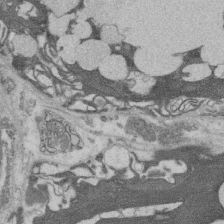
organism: Rat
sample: Salivary granule